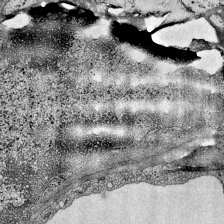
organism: Mouse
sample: Visual Cortex